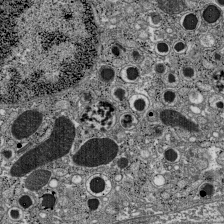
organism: C57BL Mouse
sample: Pancreatic islet